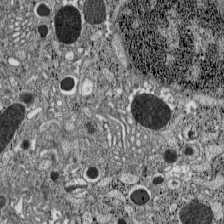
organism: C57BL Mouse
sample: Pancreatic islet